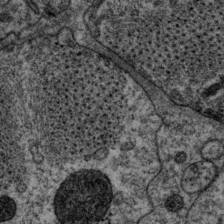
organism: P. pacificus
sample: Pharynx